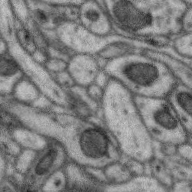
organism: Zebra finch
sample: Brain